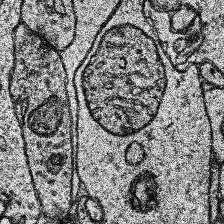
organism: Human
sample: Temporal Lobe